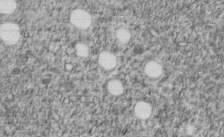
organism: C. elegans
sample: C. elegans embryo early stage